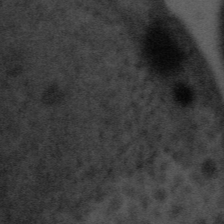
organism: Tuwongella immobilis